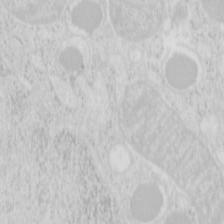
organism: Mouse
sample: Pancreas